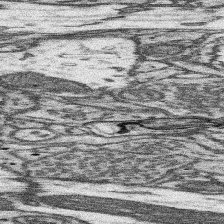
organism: Mouse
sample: Somatosensory cortex neuropil